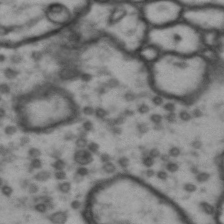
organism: Drosophila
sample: Brain